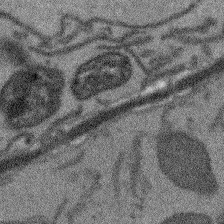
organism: Arabidopsis thaliana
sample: Root tip